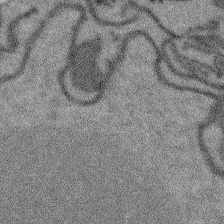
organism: Arabidopsis thaliana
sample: Root tip